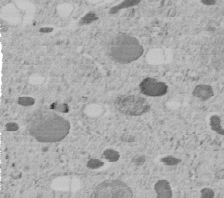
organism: C. elegans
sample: C. elegans embryo early stage